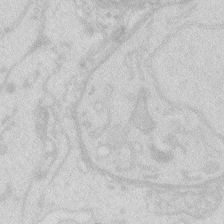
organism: Zebrafish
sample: Macrophage